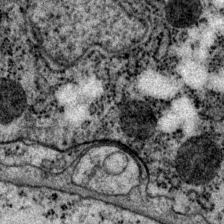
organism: P. pacificus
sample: Pharynx